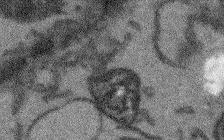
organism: Arabidopsis thaliana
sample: Root tip